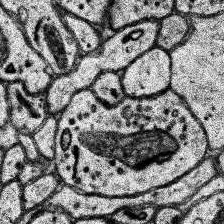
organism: Human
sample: Temporal Lobe